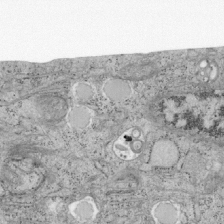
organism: Human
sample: HeLa cells